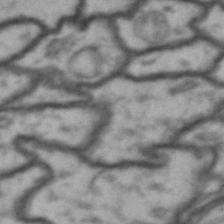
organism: Drosophila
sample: Brain